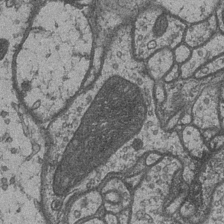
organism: Drosophila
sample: Optic medulla